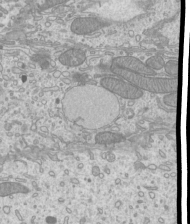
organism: Mouse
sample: Cilia; mouse epididymis